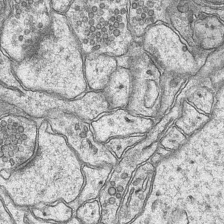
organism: Mouse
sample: CA1 Hippocampus